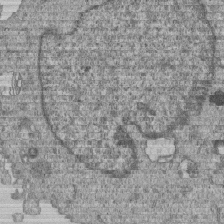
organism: Human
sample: MDA-MB-231 cells